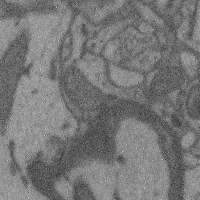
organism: Mouse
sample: Cerebral cortex